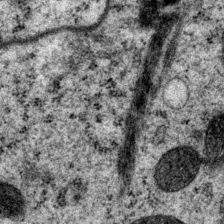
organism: P. pacificus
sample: Pharynx